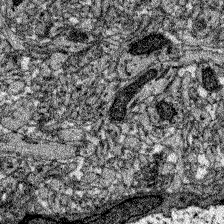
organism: Zebrafish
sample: Larval olfactory bulb